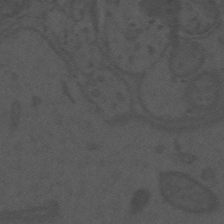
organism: Mouse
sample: Suprachiasmatic nucleus